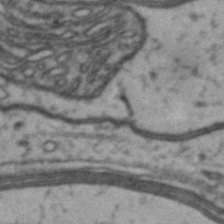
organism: Drosophila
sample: Brain